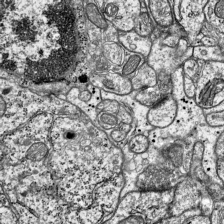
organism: Mouse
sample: Visual Cortex